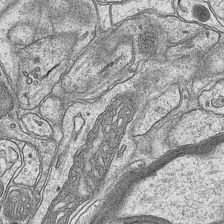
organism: Mouse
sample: CA1 Hippocampus